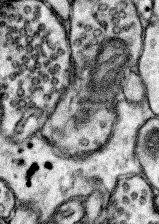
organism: Mouse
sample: Somatosensory cortex neuropil